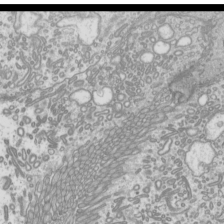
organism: Mouse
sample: Cilia; mouse epididymis